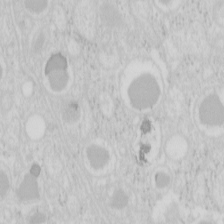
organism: Mouse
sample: Pancreas